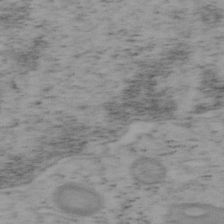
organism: Mouse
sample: OT-I killer T cells with ID8 ovarian cancer cells